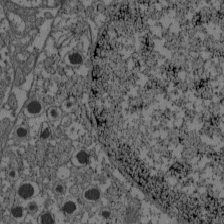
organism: C57BL Mouse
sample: Pancreatic islet